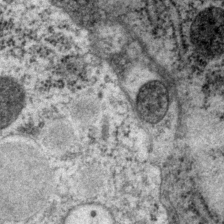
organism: P. pacificus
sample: Pharynx